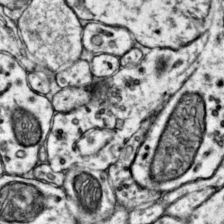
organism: Mouse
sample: Primary visual cortex